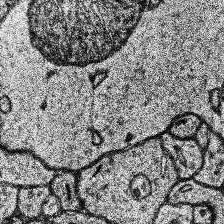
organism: Human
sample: Temporal Lobe